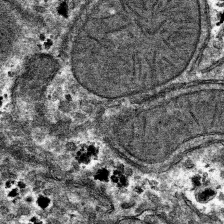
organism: Mouse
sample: Mouse hepatocytes